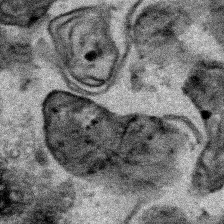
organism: Human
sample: Mitochondria in HCT116 cells